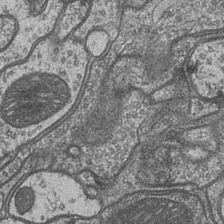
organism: Drosophila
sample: Optic medulla